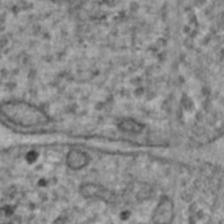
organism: Human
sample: Blood